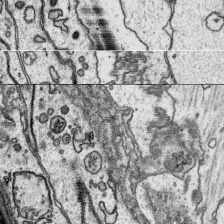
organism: Platynereis dumerilii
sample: Parapodia